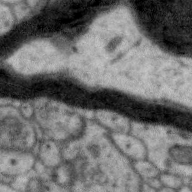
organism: Zebra finch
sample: Brain